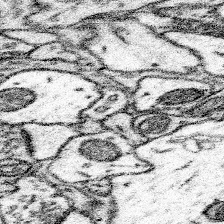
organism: Mouse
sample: Somatosensory cortex neuropil